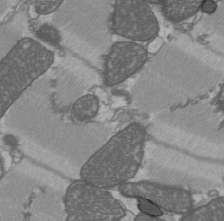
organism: C57BL Mouse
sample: Heart